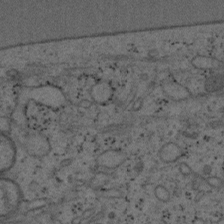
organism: Human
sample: HeLa cells